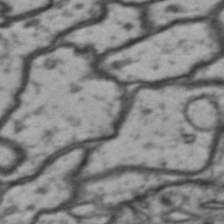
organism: Drosophila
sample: Brain